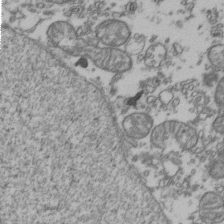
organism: Human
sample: Activated Jurkat CD4+ T cells